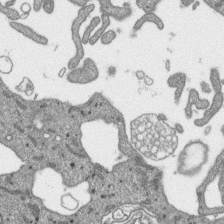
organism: Human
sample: Lung epithelial cells infected with SARS-CoV-2